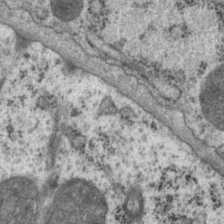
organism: P. pacificus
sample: Pharynx